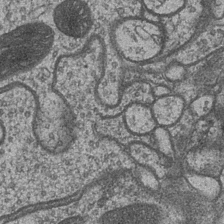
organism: Drosophila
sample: Optic medulla